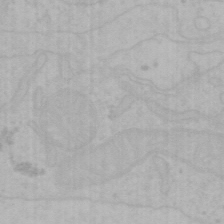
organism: Mouse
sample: Choroid plexus